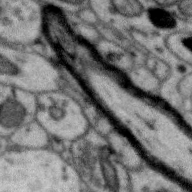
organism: Zebra finch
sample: Brain